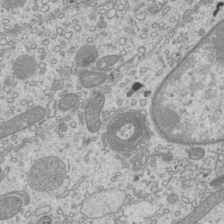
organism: Mouse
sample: Cilia; mouse epididymis